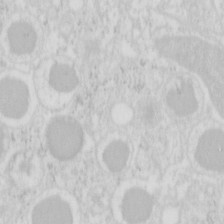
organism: Mouse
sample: Pancreas